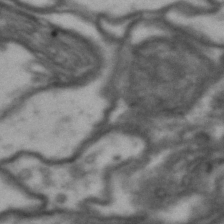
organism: Drosophila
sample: Brain